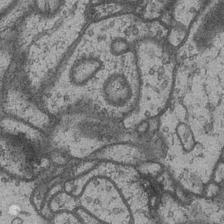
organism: Drosophila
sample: Optic medulla